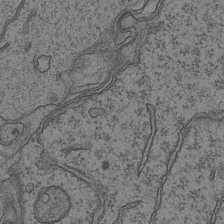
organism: Mouse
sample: CA1 Hippocampus